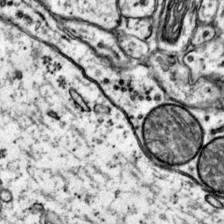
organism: Mouse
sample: Primary visual cortex